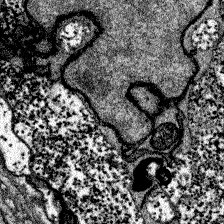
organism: Zebrafish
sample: Larval olfactory bulb